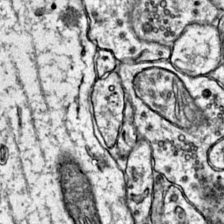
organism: Mouse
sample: Primary visual cortex